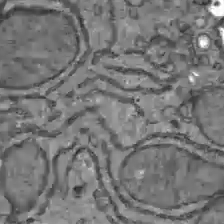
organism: C57BL Mouse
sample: Liver